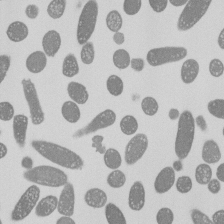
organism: E. coli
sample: Bacterial nucleoid